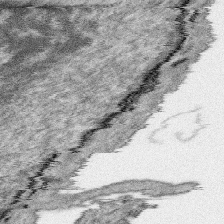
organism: Human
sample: HeLa cells